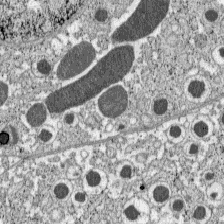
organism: C57BL Mouse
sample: Pancreatic islet